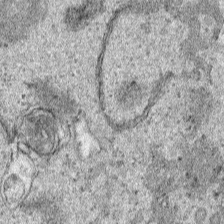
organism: Human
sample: Mitochondria in HCT116 cells